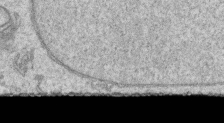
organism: Human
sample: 1205lu cells